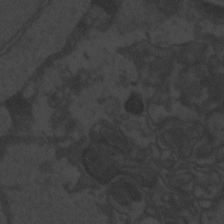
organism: Zebrafish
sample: Macrophage infected with Toxoplasma gondii